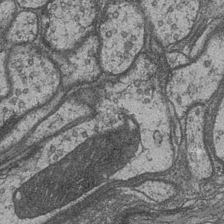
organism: Drosophila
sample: Optic medulla